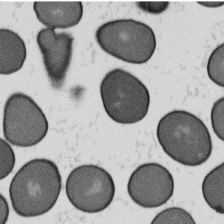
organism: B. subtilis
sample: Bacterial spore